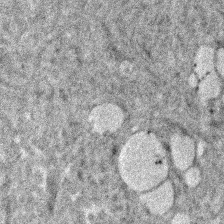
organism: Human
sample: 1205lu cells